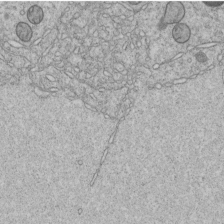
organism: C. elegans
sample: C. elegans embryo early stage